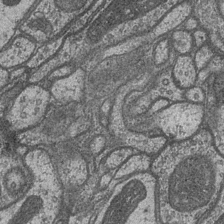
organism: Drosophila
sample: Optic medulla